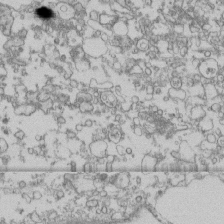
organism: Human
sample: Fibroblast cells